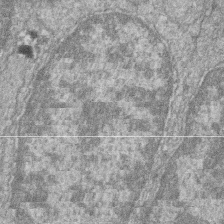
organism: Zebrafish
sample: Cilia; retinal pigment epithelium